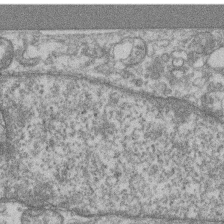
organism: Mouse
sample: T cell stromal cell synapse